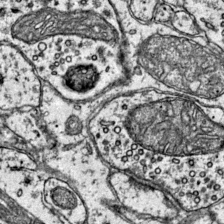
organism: Mouse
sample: Primary visual cortex